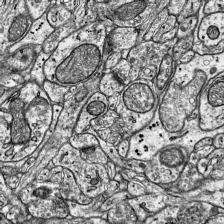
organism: Mouse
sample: Visual Cortex